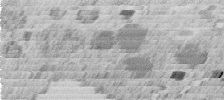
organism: C. elegans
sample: C. elegans embryo early stage